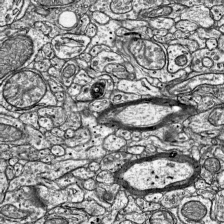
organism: Mouse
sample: Visual Cortex